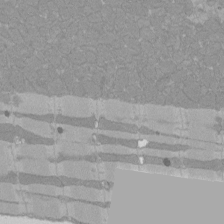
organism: Rat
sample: Left ventricle